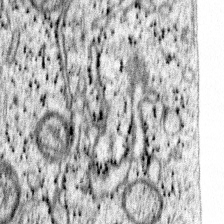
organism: Human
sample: HeLa cells